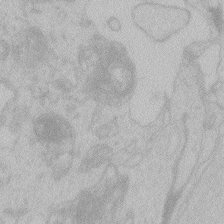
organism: Zebrafish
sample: Macrophage infected with Toxoplasma gondii